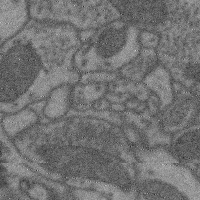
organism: Mouse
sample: Cerebral cortex